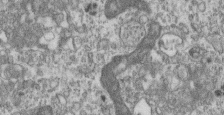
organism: Mouse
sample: Centriole in ependymal cells